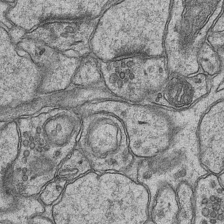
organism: Mouse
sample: CA1 Hippocampus